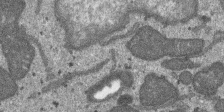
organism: Human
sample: Lung epithelial cells infected with SARS-CoV-2